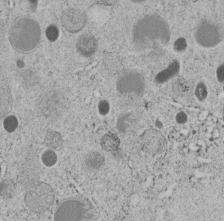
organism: C. elegans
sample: C. elegans embryo early stage